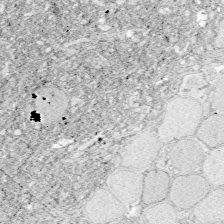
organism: Zebrafish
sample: Whole-Brain